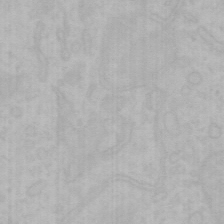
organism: Mouse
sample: Choroid plexus